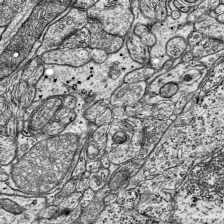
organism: Mouse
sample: Visual Cortex